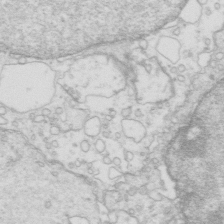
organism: Mouse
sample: Multiciliated cells